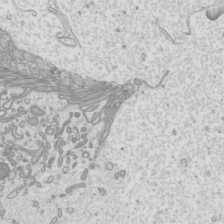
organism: Mouse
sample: Cilia; mouse epididymis